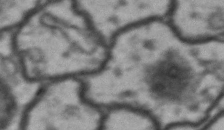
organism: Drosophila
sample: Brain